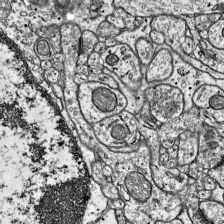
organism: Mouse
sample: Visual Cortex